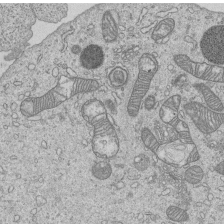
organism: Human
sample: MDA-MB-231 cells